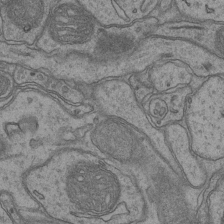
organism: Mouse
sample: CA1 Hippocampus